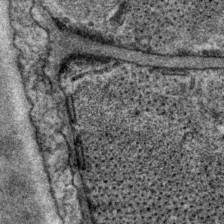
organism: P. pacificus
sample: Pharynx